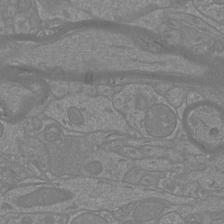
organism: Mouse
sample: Cortical neurons